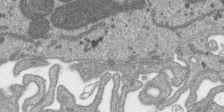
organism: Human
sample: Lung epithelial cells infected with SARS-CoV-2